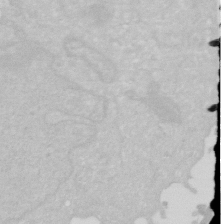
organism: Human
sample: HIV infected U937 cells